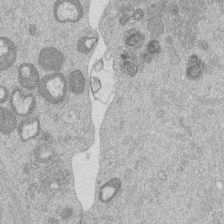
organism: Mouse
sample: Dividing mouse embryo 1 cell stage